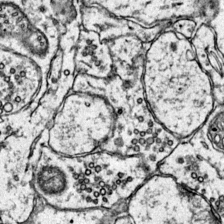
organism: Mouse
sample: Primary visual cortex